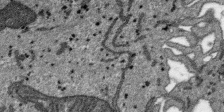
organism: Human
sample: Lung epithelial cells, uninfected (mock) control